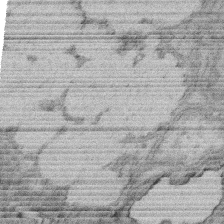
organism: Rat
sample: Salivary granule